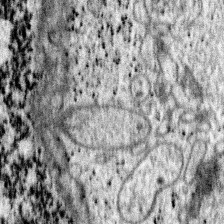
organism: Human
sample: HeLa cells